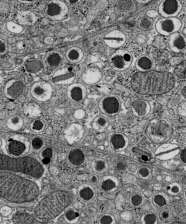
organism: C57BL Mouse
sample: Pancreatic islet